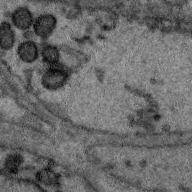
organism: Zebra finch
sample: Brain